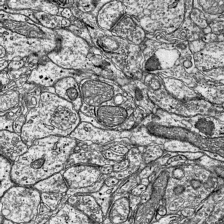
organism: Mouse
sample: Visual Cortex